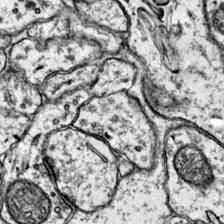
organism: Mouse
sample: Primary visual cortex